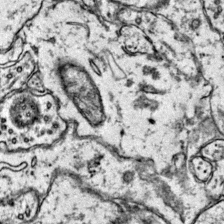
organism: Mouse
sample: Primary visual cortex